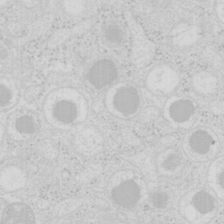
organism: Mouse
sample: Pancreas